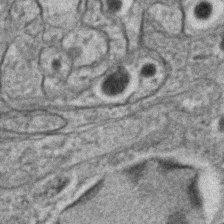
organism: C. elegans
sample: C. elegans embryo